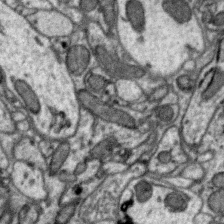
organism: Zebra finch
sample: Brain